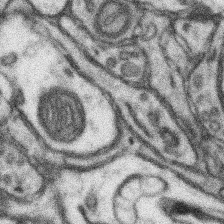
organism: Mouse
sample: Somatosensory cortex neuropil